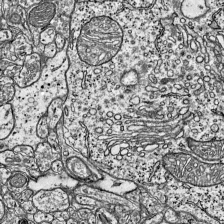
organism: Mouse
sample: Visual Cortex